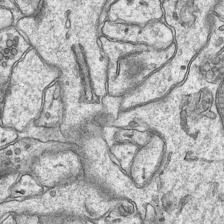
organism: Mouse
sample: CA1 Hippocampus